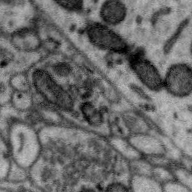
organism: Zebra finch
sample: Brain